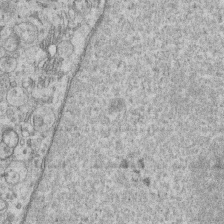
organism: Human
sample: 1205lu cells